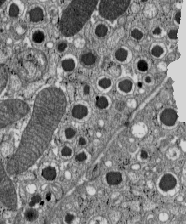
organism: C57BL Mouse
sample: Pancreatic islet